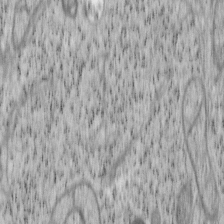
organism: Human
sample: HeLa cells